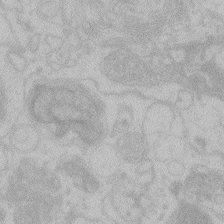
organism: Zebrafish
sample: Macrophage infected with Toxoplasma gondii